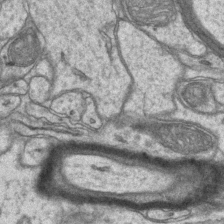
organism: Mouse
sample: CA1 Hippocampus